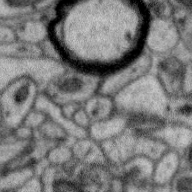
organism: Zebra finch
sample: Brain